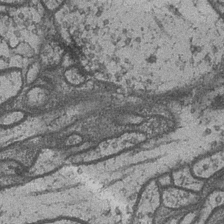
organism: Drosophila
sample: Optic medulla